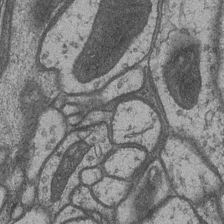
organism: Drosophila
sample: Optic medulla